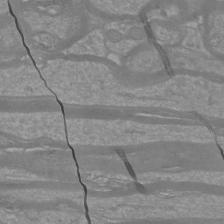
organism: Mouse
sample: Cortical neurons